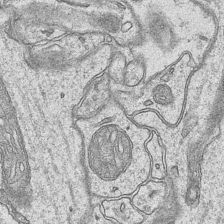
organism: Mouse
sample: CA1 Hippocampus